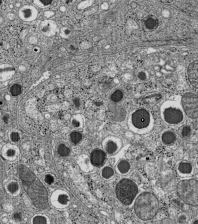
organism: C57BL Mouse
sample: Pancreatic islet